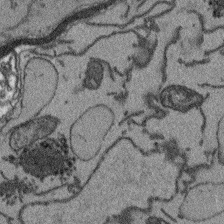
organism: Arabidopsis thaliana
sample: Root tip